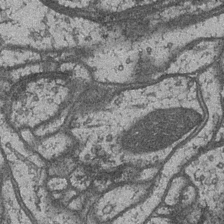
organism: Drosophila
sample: Optic medulla